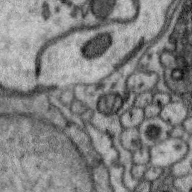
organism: Zebra finch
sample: Brain